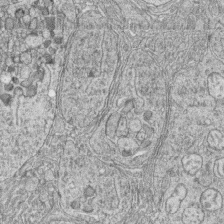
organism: Zebrafish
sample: synaptic ribbons in rod cells and cone cells